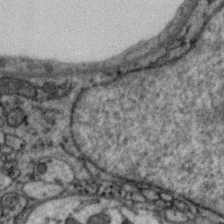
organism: Zebra finch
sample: Brain